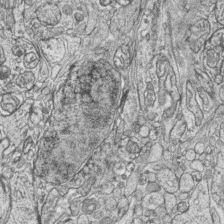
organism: Zebrafish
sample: synaptic ribbons in rod cells and cone cells